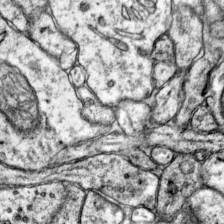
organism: Mouse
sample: Primary visual cortex